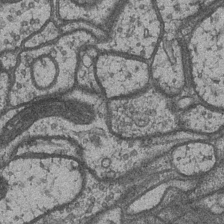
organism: Drosophila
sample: Optic medulla